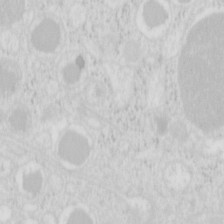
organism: Mouse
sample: Pancreas